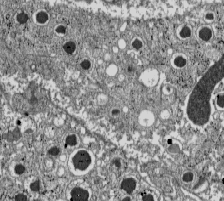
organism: C57BL Mouse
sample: Pancreatic islet